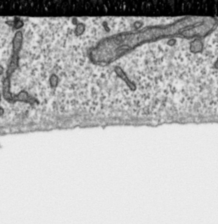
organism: Toxoplasma gondii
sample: Parasites in a vacuole inside a host cell